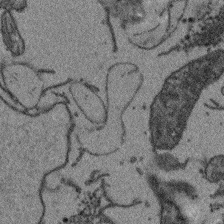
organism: Arabidopsis thaliana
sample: Root tip